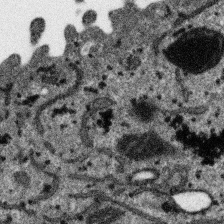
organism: Human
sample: Lung epithelial cells infected with SARS-CoV-2